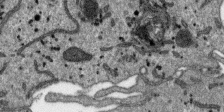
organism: Human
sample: Lung epithelial cells, uninfected (mock) control